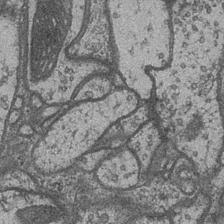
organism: Drosophila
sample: Optic medulla